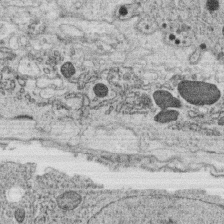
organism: C. elegans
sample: C. elegans oocyte; sperm cells